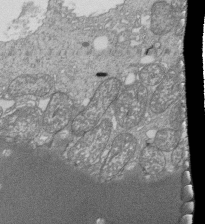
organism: Tetrahymena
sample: Cilia in tetrahymena